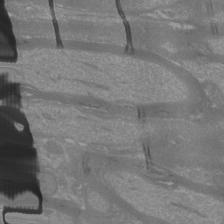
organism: Mouse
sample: Cortical neurons